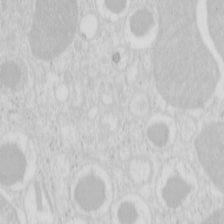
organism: Mouse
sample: Pancreas